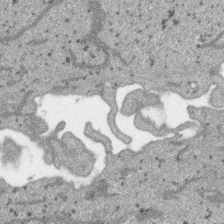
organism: Human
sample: Lung epithelial cells infected with SARS-CoV-2